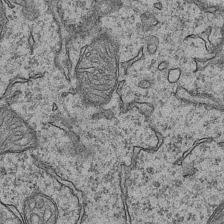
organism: Mouse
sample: CA1 Hippocampus